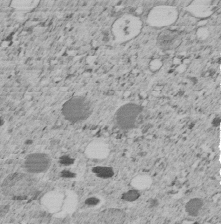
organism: C. elegans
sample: C. elegans embryo early stage